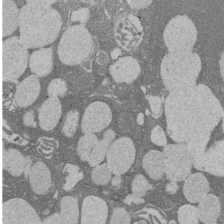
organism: Rat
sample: Salivary granule